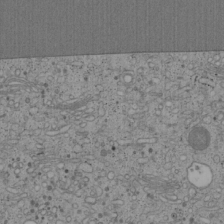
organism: African green monkey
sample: COS-7 cells